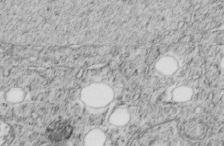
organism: C. elegans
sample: C. elegans embryo early stage